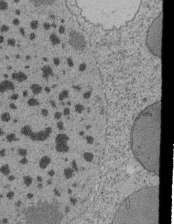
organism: Tetrahymena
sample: Cilia in tetrahymena